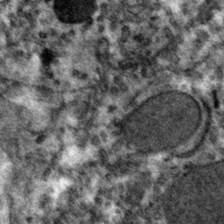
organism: Mouse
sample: Mouse hepatocytes